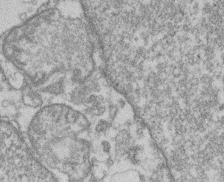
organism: Mouse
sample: T cell stromal cell synapse